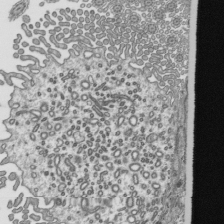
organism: Mouse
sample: Mouse epididymis efferent ductule cilia